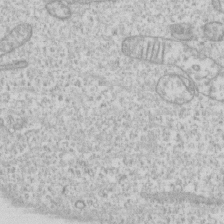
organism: Human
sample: CRL-1474